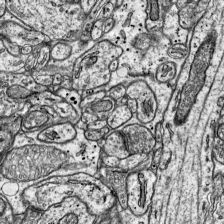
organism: Mouse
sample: Visual Cortex